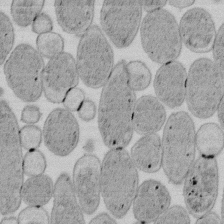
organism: E. coli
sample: Bacterial nucleoid